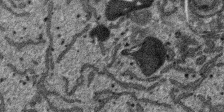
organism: Human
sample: Lung epithelial cells infected with SARS-CoV-2